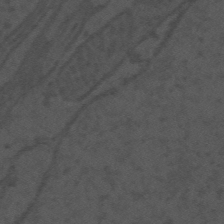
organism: Mouse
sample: Suprachiasmatic nucleus